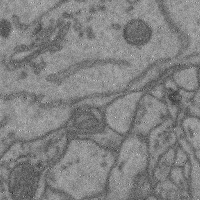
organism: Mouse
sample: Cerebral cortex